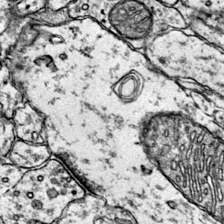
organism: Mouse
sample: Primary visual cortex